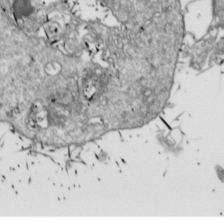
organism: Drosophila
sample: Cell division; meiosis; drosophila spermatocytes